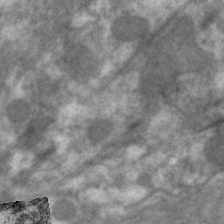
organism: C. elegans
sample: Pharynx